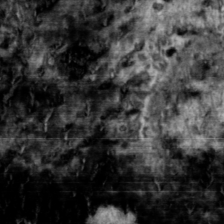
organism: Toxoplasma gondii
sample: Parasites in a vacuole inside a host cell